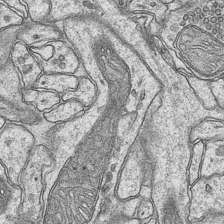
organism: Mouse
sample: CA1 Hippocampus